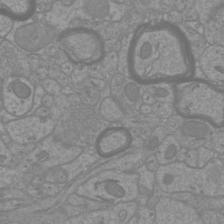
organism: Mouse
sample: Cortical neurons